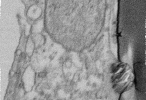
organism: Human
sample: Centriole in fibroblast cells